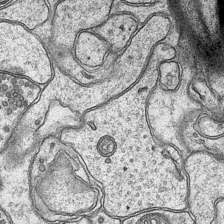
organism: Mouse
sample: CA1 Hippocampus